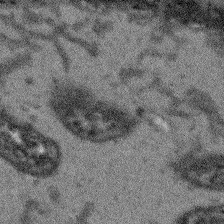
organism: Arabidopsis thaliana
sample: Root tip